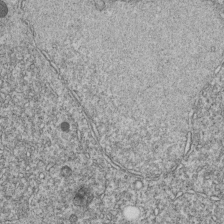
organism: C. elegans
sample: C. elegans embryo early stage